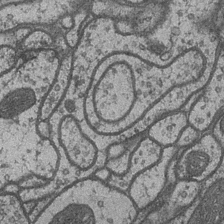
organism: Drosophila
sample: Optic medulla